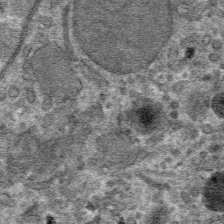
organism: Mouse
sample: Mouse hepatocytes